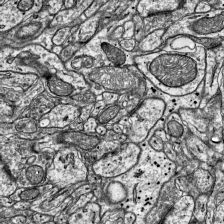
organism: Mouse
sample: Visual Cortex